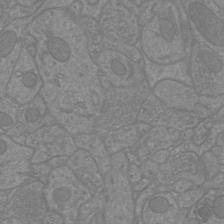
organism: Mouse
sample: Cortical neurons